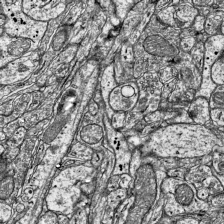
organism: Mouse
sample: Visual Cortex